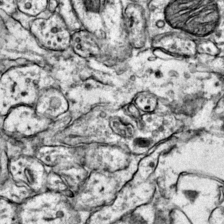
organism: Mouse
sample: Primary visual cortex